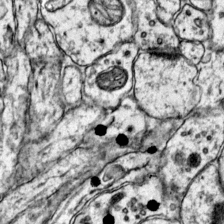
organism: Mouse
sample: Primary visual cortex